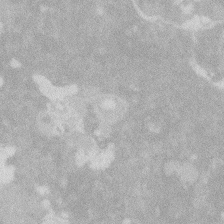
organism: Zebrafish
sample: Macrophage